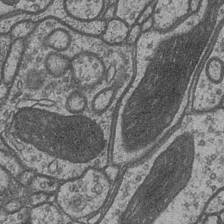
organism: Drosophila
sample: Optic medulla